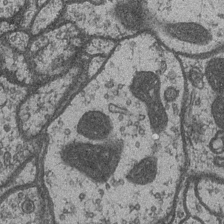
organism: Drosophila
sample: Optic medulla